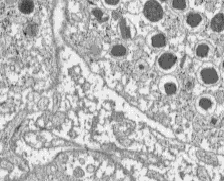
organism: C57BL Mouse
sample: Pancreatic islet